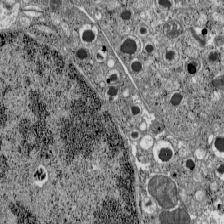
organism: C57BL Mouse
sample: Pancreatic islet